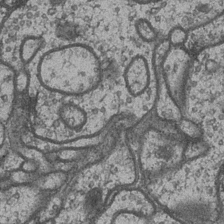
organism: Drosophila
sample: Optic medulla